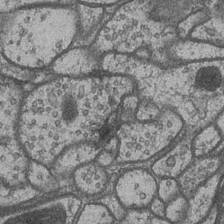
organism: Drosophila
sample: Optic medulla